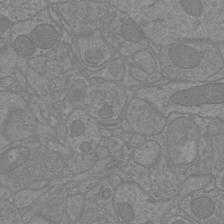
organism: Mouse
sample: Cortical neurons